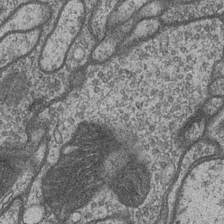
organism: Drosophila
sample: Optic medulla